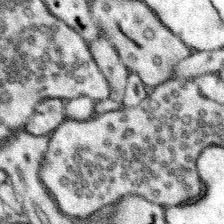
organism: Mouse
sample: Somatosensory cortex neuropil